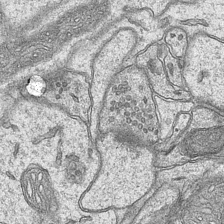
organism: Mouse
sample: CA1 Hippocampus